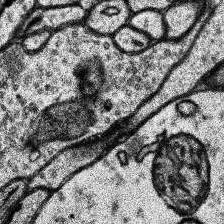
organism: Human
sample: Temporal Lobe